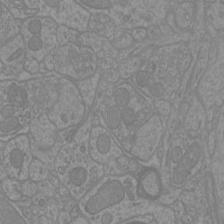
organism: Mouse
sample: Cortical neurons